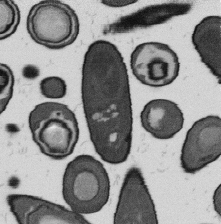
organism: B. subtilis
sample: Bacterial spore